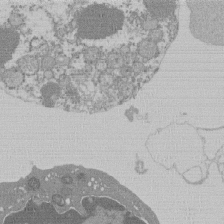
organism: Mouse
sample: Activated Pmel transgenic CD8+ T Cells